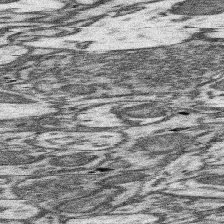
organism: Mouse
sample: Somatosensory cortex neuropil